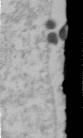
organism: Human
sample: U2-OS cells